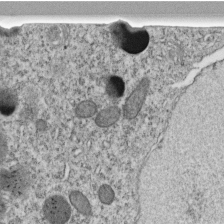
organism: C. elegans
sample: C. elegans embryo early stage